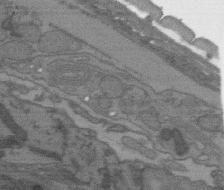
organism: C. elegans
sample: AFD neurons C. elegans